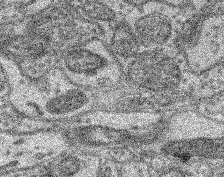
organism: Mouse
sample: Retina